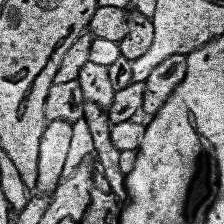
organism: Human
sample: Temporal Lobe